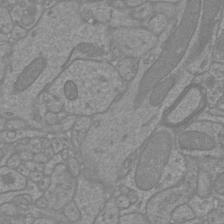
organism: Mouse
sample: Cortical neurons